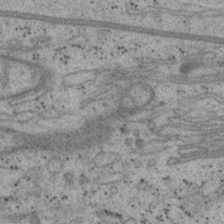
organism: Human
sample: HeLa cells